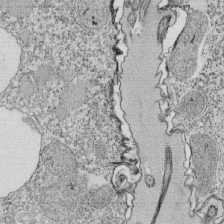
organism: Tetrahymena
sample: Cilia in tetrahymena